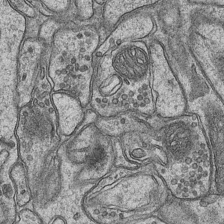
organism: Mouse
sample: CA1 Hippocampus